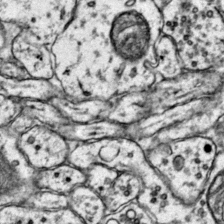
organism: Mouse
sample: Primary visual cortex